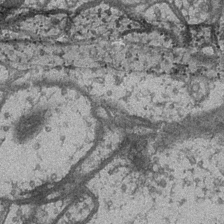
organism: Drosophila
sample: Optic medulla